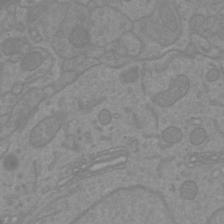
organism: Mouse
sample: Cortical neurons